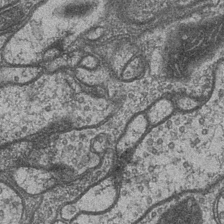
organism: Drosophila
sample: Optic medulla